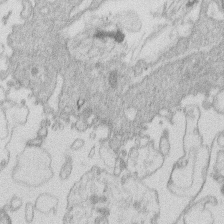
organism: Human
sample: Macrophage cells